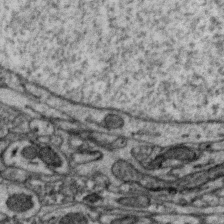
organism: Zebra finch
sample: Brain